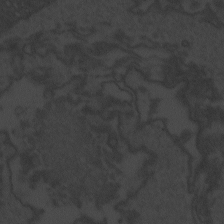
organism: Zebrafish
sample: Macrophage infected with Toxoplasma gondii